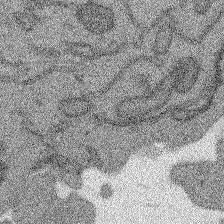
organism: Human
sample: HeLa cells